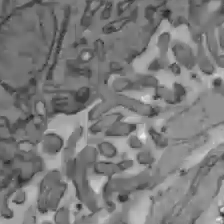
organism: C57BL Mouse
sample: Liver